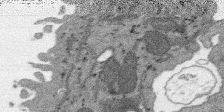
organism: Human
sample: Lung epithelial cells infected with SARS-CoV-2